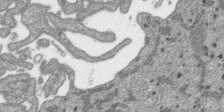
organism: Human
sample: Lung epithelial cells infected with SARS-CoV-2